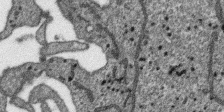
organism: Human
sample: Lung epithelial cells infected with SARS-CoV-2